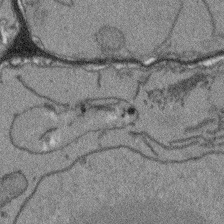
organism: Arabidopsis thaliana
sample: Root tip